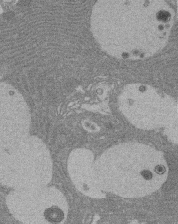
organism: Rat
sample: Salivary granule